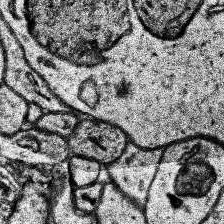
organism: Human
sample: Temporal Lobe